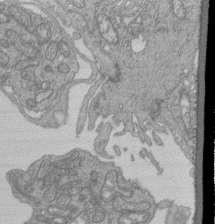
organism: Human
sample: Retinal organoid Rod and Cone cells